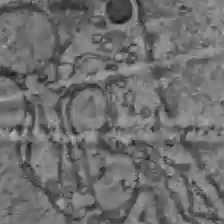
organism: C57BL Mouse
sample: Liver